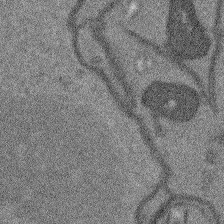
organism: Arabidopsis thaliana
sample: Root tip